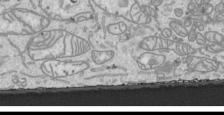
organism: Human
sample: Mitochondria in HCT116 cells